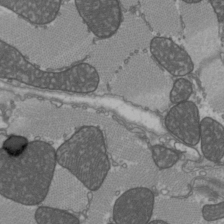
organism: C57BL Mouse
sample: Heart